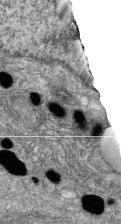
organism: Zebrafish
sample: Cilia; retinal pigment epithelium